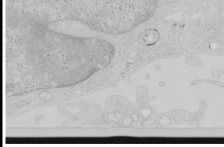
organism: Human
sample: Mitochondria in HCT116 cells